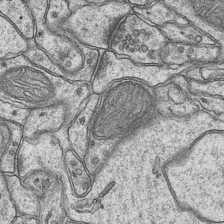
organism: Mouse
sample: CA1 Hippocampus